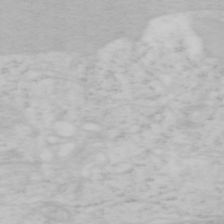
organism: Mouse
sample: OT-I killer T cells with ID8 ovarian cancer cells